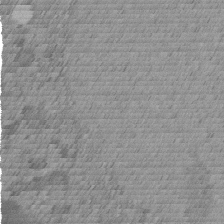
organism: C. elegans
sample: C. elegans embryo early stage